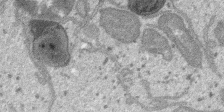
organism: Human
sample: Lung epithelial cells infected with SARS-CoV-2